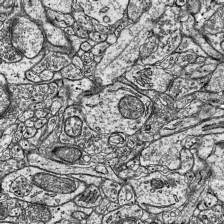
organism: Mouse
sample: Visual Cortex